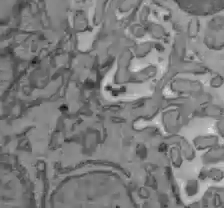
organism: C57BL Mouse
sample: Liver